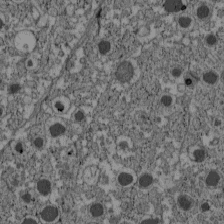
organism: C57BL Mouse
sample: Pancreatic islet